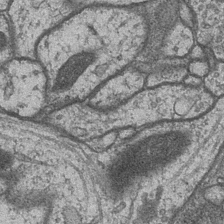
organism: Drosophila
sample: Optic medulla